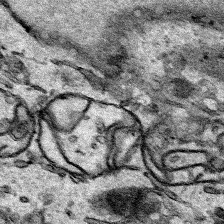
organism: Human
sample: Mitochondria in HCT116 cells